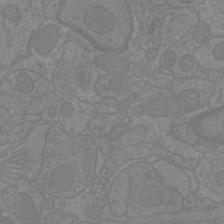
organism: Mouse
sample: Cortical neurons